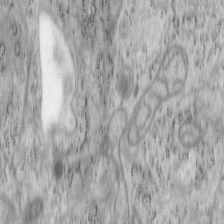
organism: Human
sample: HeLa cells